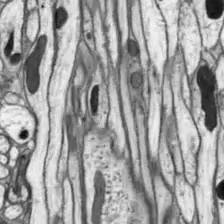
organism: Drosophila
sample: Optic lobe